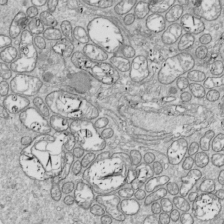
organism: Drosophila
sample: Cell division; meiosis; drosophila spermatocytes